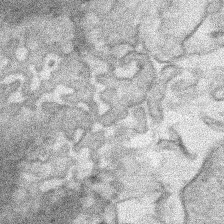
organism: Human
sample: Mitochondria in HCT116 cells